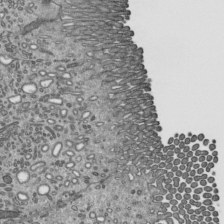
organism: Mouse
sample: Mouse epididymis efferent ductule cilia